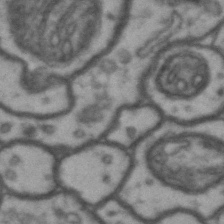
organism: Drosophila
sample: Brain